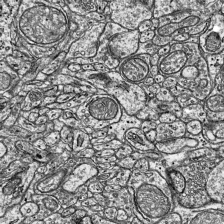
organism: Mouse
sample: Visual Cortex